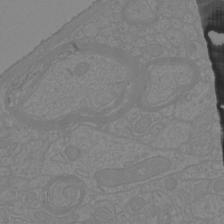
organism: Mouse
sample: Cortical neurons